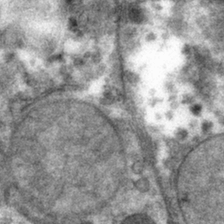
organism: Mouse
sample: Mouse hepatocytes